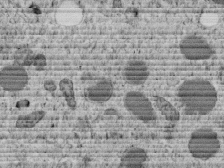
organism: C. elegans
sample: C. elegans embryo early stage